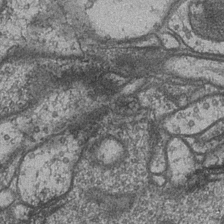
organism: Drosophila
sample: Optic medulla